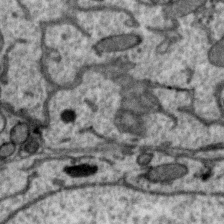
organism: Zebra finch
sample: Brain